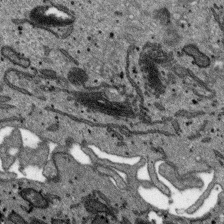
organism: Human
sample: Lung epithelial cells, uninfected (mock) control